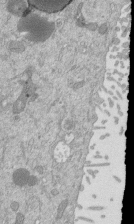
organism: Mouse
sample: ED-1 cell nuclei; centrioles